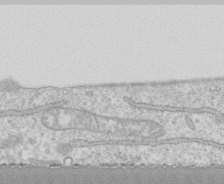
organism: Human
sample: CRL-1474